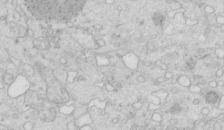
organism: Mouse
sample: Multiciliated cells